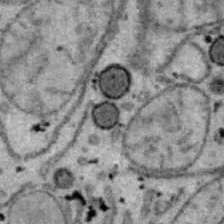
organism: Mouse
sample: Liver from an obese (ob/ob) mouse